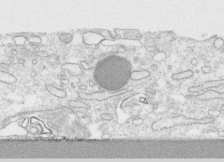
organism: Human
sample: CRL-1474